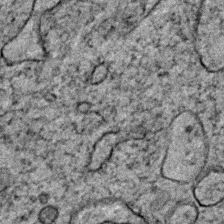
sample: Trachea